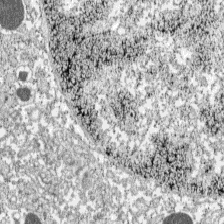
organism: C57BL Mouse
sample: Pancreatic islet